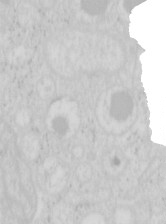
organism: Mouse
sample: Pancreas